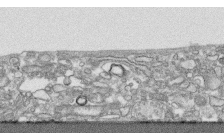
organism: Human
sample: CRL-1474